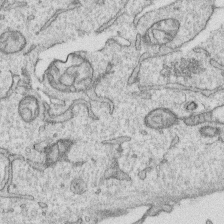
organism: Human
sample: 1205lu cells